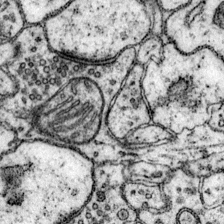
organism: Mouse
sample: Primary visual cortex